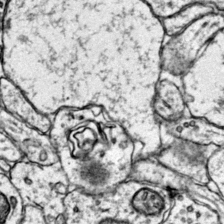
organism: Mouse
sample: Primary visual cortex